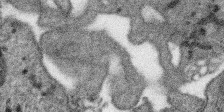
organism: Human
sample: Lung epithelial cells infected with SARS-CoV-2